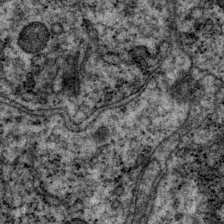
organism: P. pacificus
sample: Pharynx